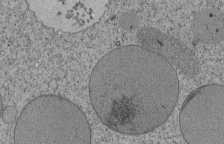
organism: Tetrahymena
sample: Cilia in tetrahymena